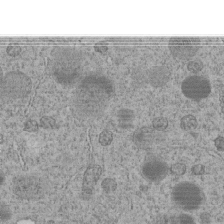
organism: C. elegans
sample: C. elegans embryo early stage